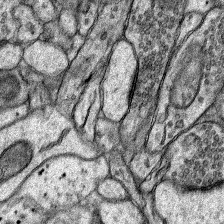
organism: Rat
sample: Hippocampus